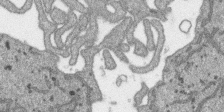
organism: Human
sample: Lung epithelial cells infected with SARS-CoV-2